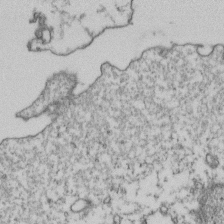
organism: Human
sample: Activated Jurkat CD4+ T cells